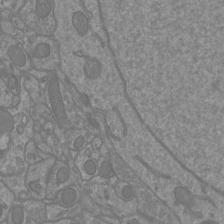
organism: Mouse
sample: Cortical neurons